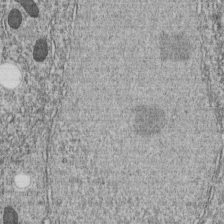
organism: C. elegans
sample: C. elegans embryo early stage